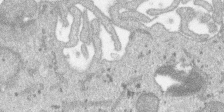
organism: Human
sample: Lung epithelial cells infected with SARS-CoV-2